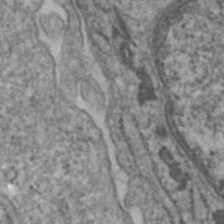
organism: Human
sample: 1205lu cells